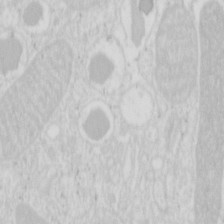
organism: Mouse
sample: Pancreas